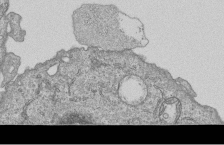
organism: Human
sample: MDA-MB-231 cells